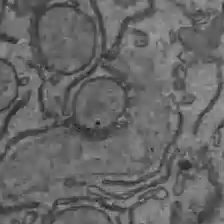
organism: C57BL Mouse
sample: Liver